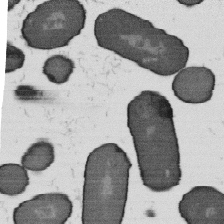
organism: B. subtilis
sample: Bacterial spore